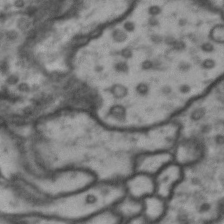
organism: Drosophila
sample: Brain